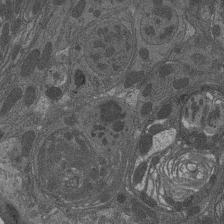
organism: Drosophila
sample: Antenna